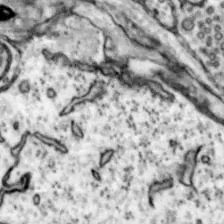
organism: Mouse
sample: Nucleus accumbens